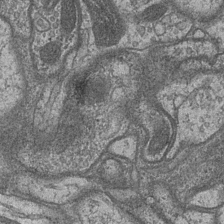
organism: Drosophila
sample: Optic medulla